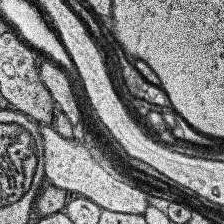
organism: Human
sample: Temporal Lobe